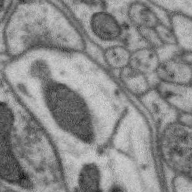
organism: Zebra finch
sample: Brain